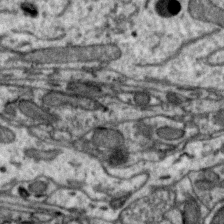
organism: Zebra finch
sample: Brain